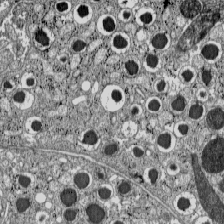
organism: C57BL Mouse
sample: Pancreatic islet